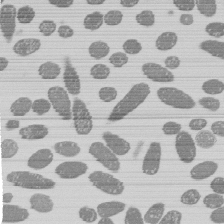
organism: E. coli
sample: Bacterial nucleoid